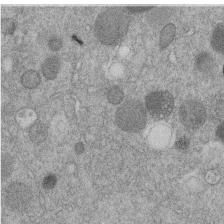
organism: C. elegans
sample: C. elegans embryo early stage